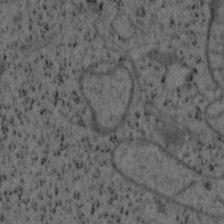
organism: Human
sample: HeLa cells